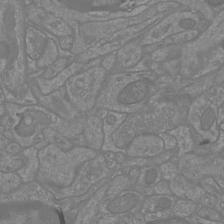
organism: Mouse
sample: Cortical neurons